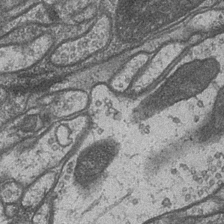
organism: Drosophila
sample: Optic medulla